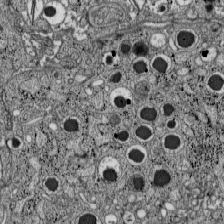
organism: C57BL Mouse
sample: Pancreatic islet